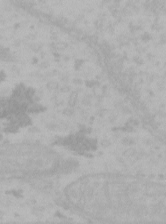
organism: Mouse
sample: Choroid plexus